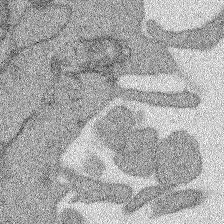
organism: Human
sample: HeLa cells